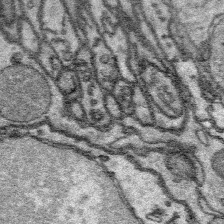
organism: Platynereis dumerilii